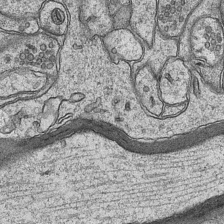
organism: Mouse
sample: CA1 Hippocampus